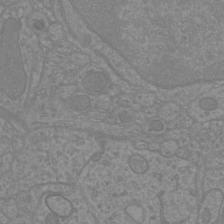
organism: Mouse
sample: Cortical neurons